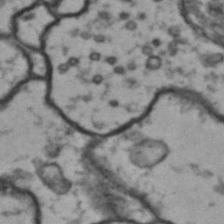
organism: Drosophila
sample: Brain